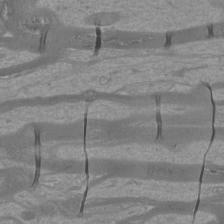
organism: Mouse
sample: Cortical neurons